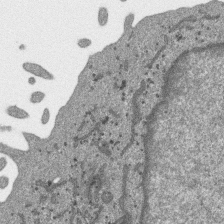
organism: Human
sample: Lung epithelial cells infected with SARS-CoV-2